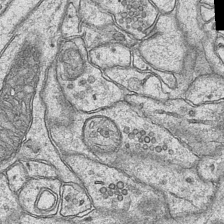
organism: Mouse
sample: CA1 Hippocampus